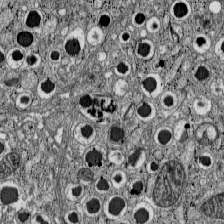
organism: C57BL Mouse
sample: Pancreatic islet